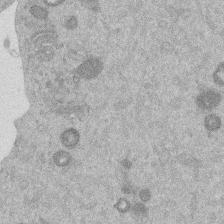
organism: Mouse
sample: Dividing mouse embryo 1 cell stage